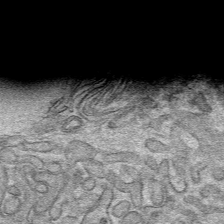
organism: Mouse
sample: Mouse hepatocytes